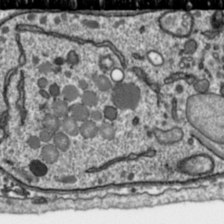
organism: Toxoplasma gondii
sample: Parasites in a vacuole inside a host cell